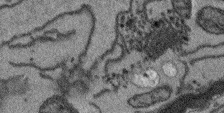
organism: Arabidopsis thaliana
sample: Root tip